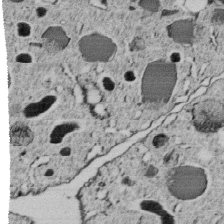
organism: C. elegans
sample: C. elegans embryo early stage